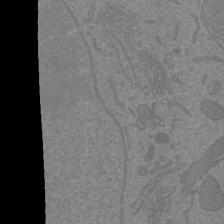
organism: Mouse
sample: Cortical neurons